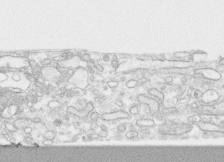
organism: Human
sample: CRL-1474